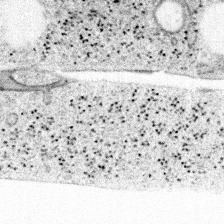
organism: Human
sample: HeLa cells